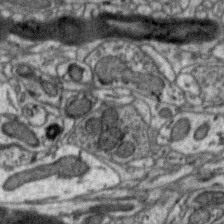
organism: Zebra finch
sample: Brain